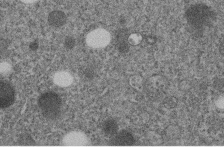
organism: C. elegans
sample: C. elegans embryo early stage